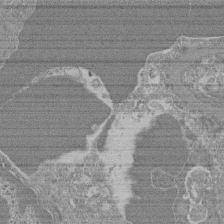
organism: Mouse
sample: Glomerulus